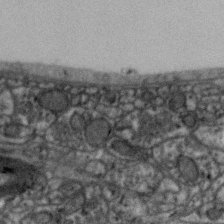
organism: Zebra finch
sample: Brain